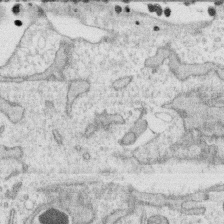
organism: Human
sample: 1205lu cells